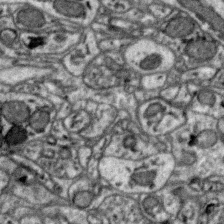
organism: Zebra finch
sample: Brain